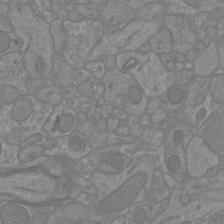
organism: Mouse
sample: Cortical neurons